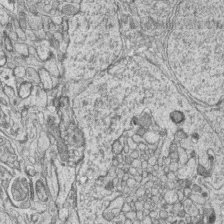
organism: Zebrafish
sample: synaptic ribbons in rod cells and cone cells